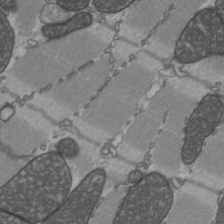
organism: C57BL Mouse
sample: Heart